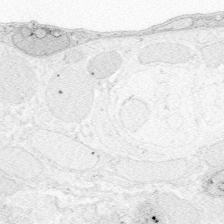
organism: Zebrafish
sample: Whole-Brain